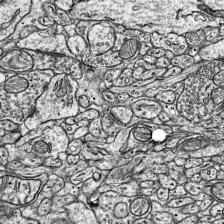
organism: Mouse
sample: Visual Cortex